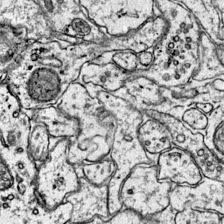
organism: Mouse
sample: Primary visual cortex